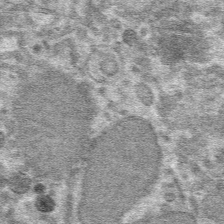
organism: Mouse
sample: Mouse hepatocytes